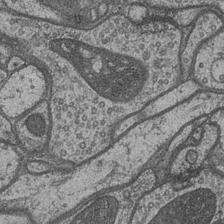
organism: Drosophila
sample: Optic medulla